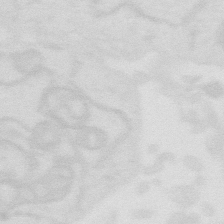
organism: Human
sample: HeLa cells